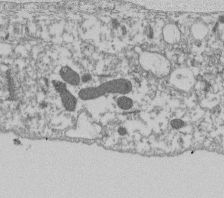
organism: Dictyostelium discoideum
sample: Dictyostelium multivesicular bodies